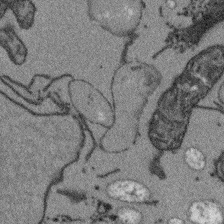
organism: Arabidopsis thaliana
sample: Root tip